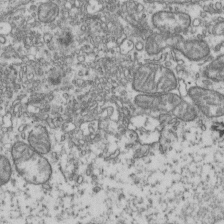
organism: Human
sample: Activated Jurkat CD4+ T cells